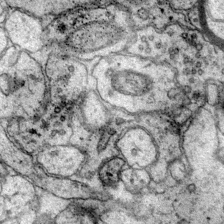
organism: Mouse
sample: Primary visual cortex